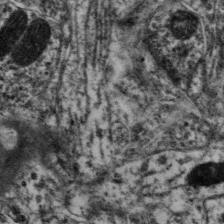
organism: Mouse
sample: Neocortex